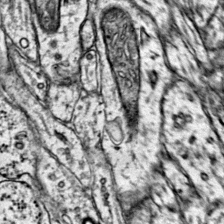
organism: Mouse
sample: Primary visual cortex